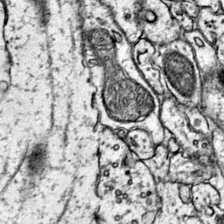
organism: Mouse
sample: Primary visual cortex